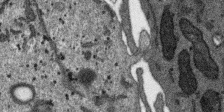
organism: Human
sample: Lung epithelial cells infected with SARS-CoV-2